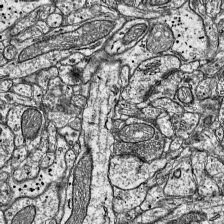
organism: Mouse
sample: Visual Cortex